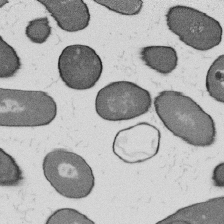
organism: B. subtilis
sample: Bacterial spore